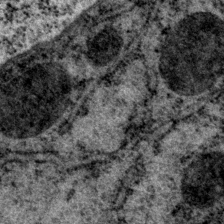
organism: P. pacificus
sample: Pharynx